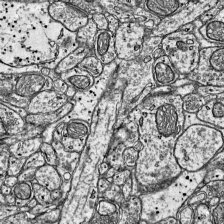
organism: Mouse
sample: Visual Cortex